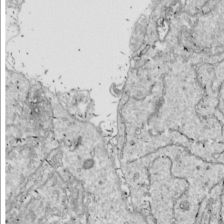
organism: Drosophila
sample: Cell division; meiosis; drosophila spermatocytes